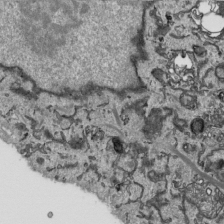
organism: Human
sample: Mitochondria in HCT116 cells